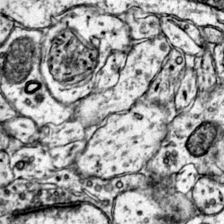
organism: Mouse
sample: Primary visual cortex